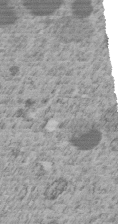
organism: C. elegans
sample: C. elegans embryo early stage